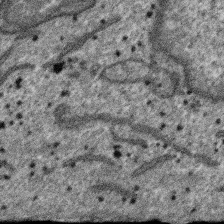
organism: Human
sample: Lung epithelial cells infected with SARS-CoV-2